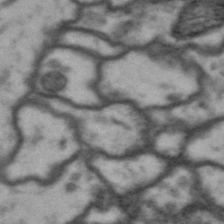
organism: Drosophila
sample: Brain